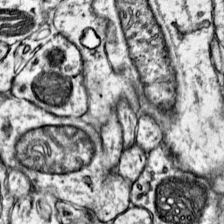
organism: Mouse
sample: Primary visual cortex